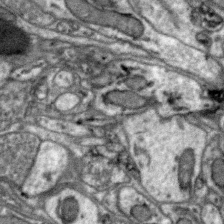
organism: Zebra finch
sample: Brain